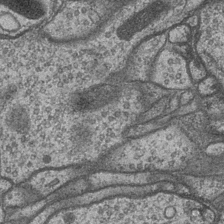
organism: Drosophila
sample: Optic medulla